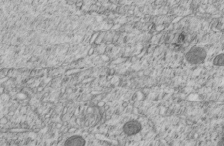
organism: C. elegans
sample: C. elegans embryo early stage